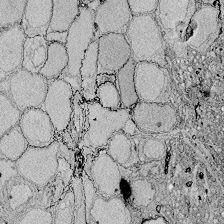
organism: Zebrafish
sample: Whole-Brain